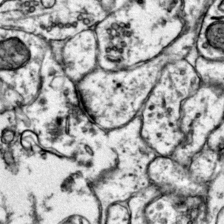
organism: Mouse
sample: Primary visual cortex